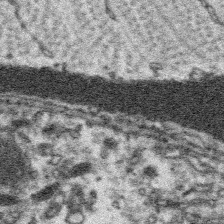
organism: Platynereis dumerilii